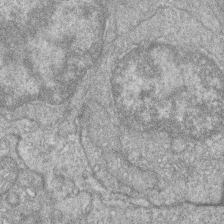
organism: Zebrafish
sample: Cilia; retinal pigment epithelium